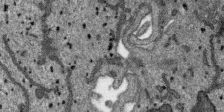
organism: Human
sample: Lung epithelial cells, uninfected (mock) control